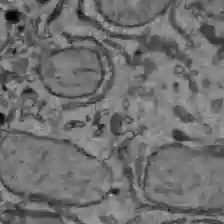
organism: C57BL Mouse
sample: Liver